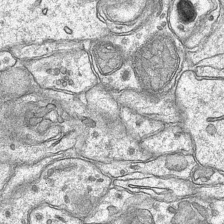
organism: Mouse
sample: CA1 Hippocampus